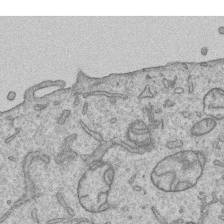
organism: Human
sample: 1205lu cells